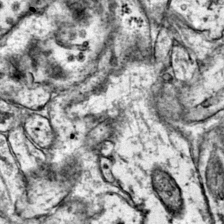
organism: Mouse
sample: Primary visual cortex